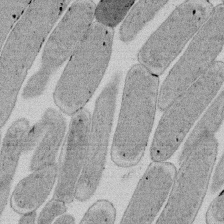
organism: E. coli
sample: Bacterial nucleoid